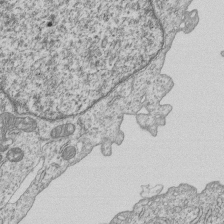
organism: Human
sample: MDA-MB-231 cells